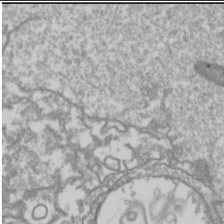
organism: Drosophila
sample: Cell division; meiosis; drosophila spermatocytes